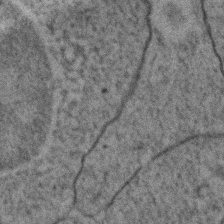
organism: Zebrafish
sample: Zebrafish embryo